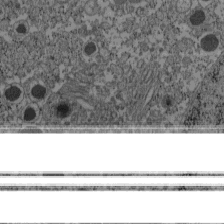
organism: C57BL Mouse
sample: Pancreatic islet